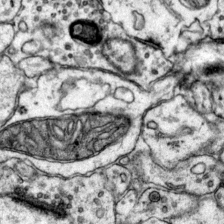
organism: Mouse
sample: Primary visual cortex